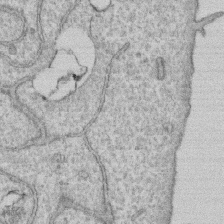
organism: Human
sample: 1205lu cells